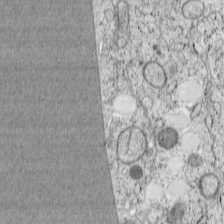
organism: African green monkey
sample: COS-7 cells